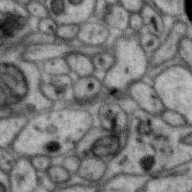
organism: Zebra finch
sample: Brain